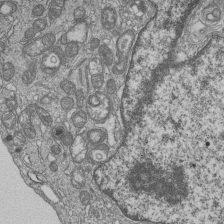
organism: Human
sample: MDA-MB-231 cells